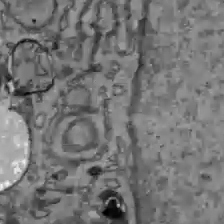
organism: C57BL Mouse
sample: Liver